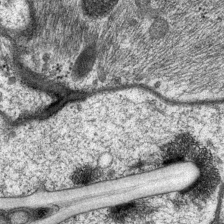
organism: P. pacificus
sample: Pharynx